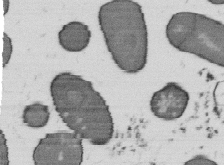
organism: B. subtilis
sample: Bacterial spore